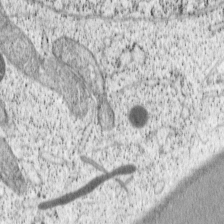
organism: African green monkey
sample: COS-7 cells